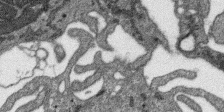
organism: Human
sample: Lung epithelial cells infected with SARS-CoV-2